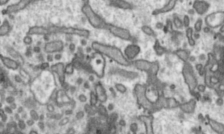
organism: Toxoplasma gondii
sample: Parasites in a vacuole inside a host cell